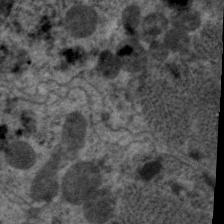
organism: C. elegans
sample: Pharynx